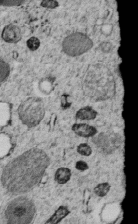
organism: C. elegans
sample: C. elegans embryo early stage